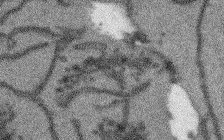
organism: Arabidopsis thaliana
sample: Root tip